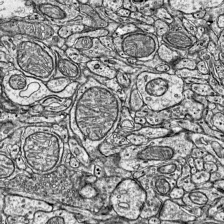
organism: Mouse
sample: Visual Cortex